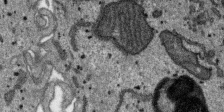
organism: Human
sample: Lung epithelial cells, uninfected (mock) control